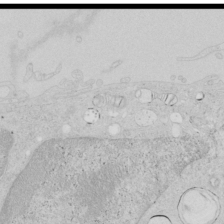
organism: Human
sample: Mitochondria in HCT116 cells